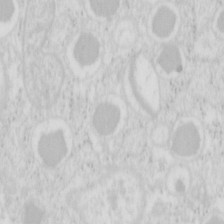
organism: Mouse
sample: Pancreas